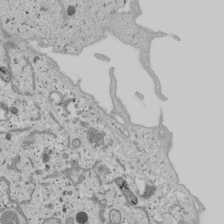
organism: Human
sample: Mitochondria in U2OS cells